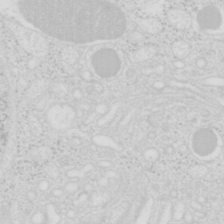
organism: Mouse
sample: Pancreas